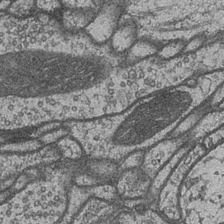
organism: Drosophila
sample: Optic medulla